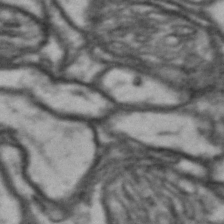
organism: Drosophila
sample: Brain